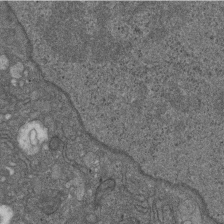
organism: Drosophila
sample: Nephrocyte